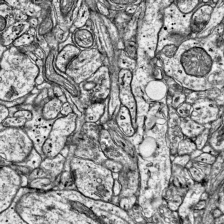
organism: Mouse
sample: Visual Cortex